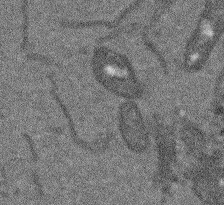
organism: Arabidopsis thaliana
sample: Root tip